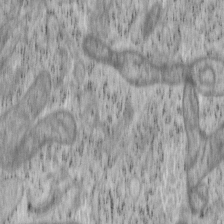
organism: Human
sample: HeLa cells